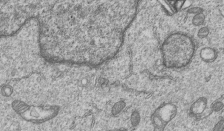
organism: Human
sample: MDA-MB-231 cells